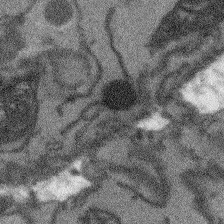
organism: Arabidopsis thaliana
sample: Root tip